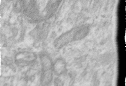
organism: Human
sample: Centriole in RPE cells